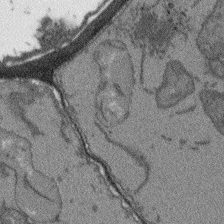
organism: Arabidopsis thaliana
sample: Root tip